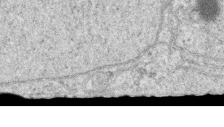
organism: Human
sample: HeLa cell HIV synapse